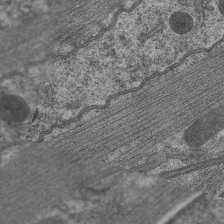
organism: C. elegans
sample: Pharynx